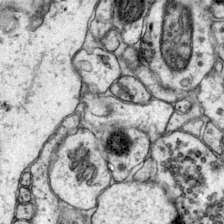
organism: Mouse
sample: Primary visual cortex